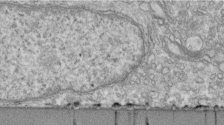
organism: Human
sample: Centriole in fibroblast cells